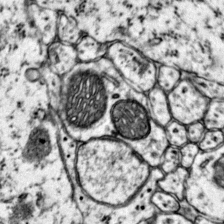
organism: Mouse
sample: Primary visual cortex